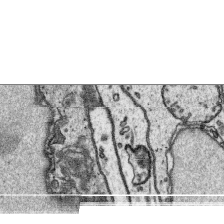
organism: Platynereis dumerilii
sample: Parapodia